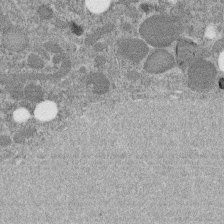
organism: C. elegans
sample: C. elegans embryo early stage